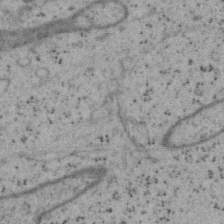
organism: Human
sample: HeLa cells